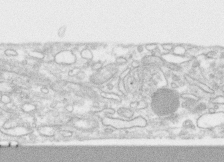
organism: Human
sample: CRL-1474